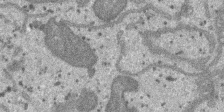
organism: Human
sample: Lung epithelial cells infected with SARS-CoV-2